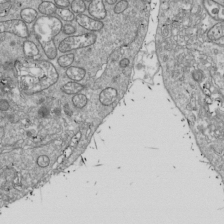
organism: Drosophila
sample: Cell division; meiosis; drosophila spermatocytes